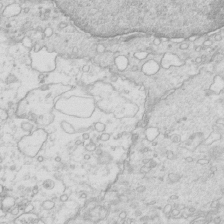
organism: Mouse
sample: Multiciliated cells